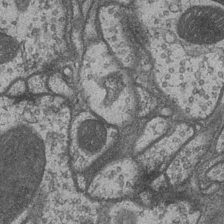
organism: Drosophila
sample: Optic medulla